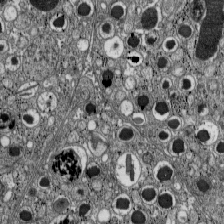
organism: C57BL Mouse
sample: Pancreatic islet